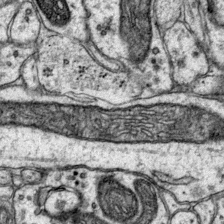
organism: Mouse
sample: Primary visual cortex